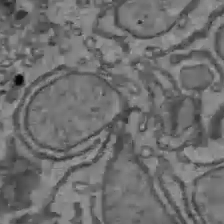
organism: C57BL Mouse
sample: Liver